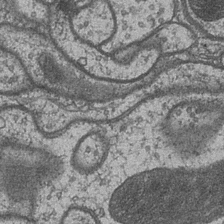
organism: Drosophila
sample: Optic medulla